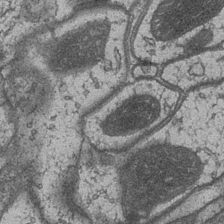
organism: Drosophila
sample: Optic medulla